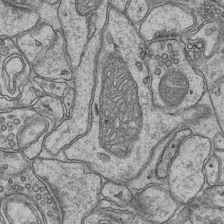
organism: Mouse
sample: CA1 Hippocampus